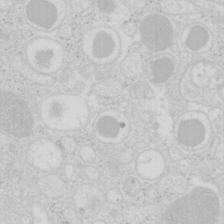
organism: Mouse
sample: Pancreas